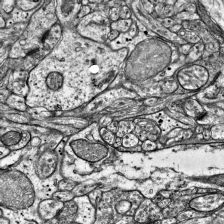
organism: Mouse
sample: Visual Cortex